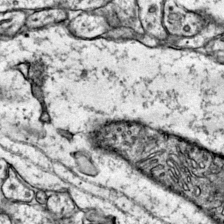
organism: Mouse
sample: Primary visual cortex